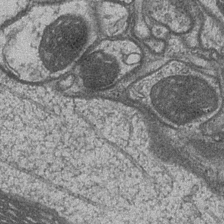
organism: Drosophila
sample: Optic medulla